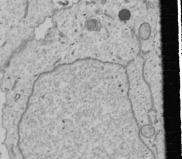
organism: Human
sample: Mitochondria in U2OS cells